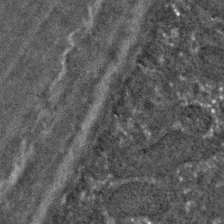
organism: C. elegans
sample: C. elegans embryo